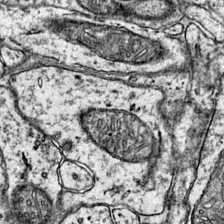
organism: Mouse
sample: Primary visual cortex